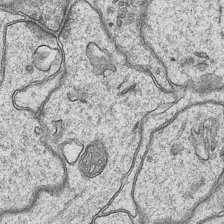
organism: Mouse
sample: CA1 Hippocampus